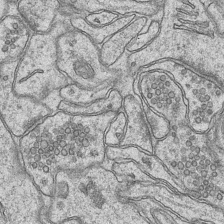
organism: Mouse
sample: CA1 Hippocampus